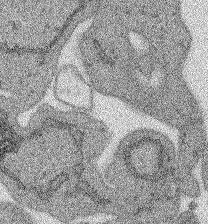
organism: Human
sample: HeLa cells